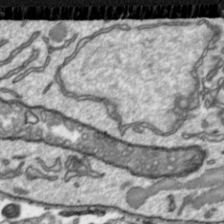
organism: Toxoplasma gondii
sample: Parasites in a vacuole inside a host cell